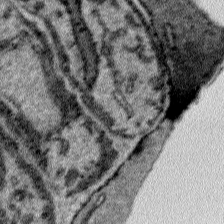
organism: Plasmodium falciparum